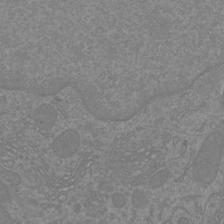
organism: Mouse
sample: Cortical neurons